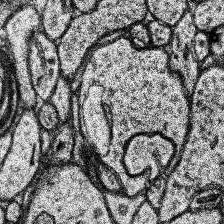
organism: Human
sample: Temporal Lobe